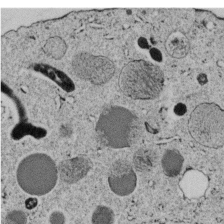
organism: C. elegans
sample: C. elegans embryo early stage